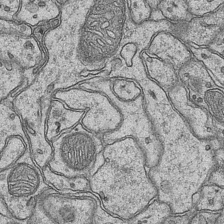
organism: Mouse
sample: CA1 Hippocampus